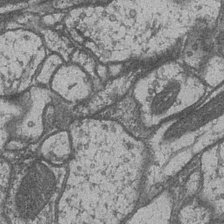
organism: Drosophila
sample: Optic medulla